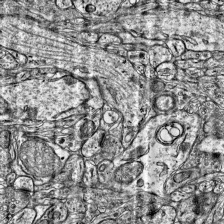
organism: Mouse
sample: Visual Cortex